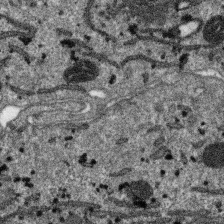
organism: Human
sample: Lung epithelial cells infected with SARS-CoV-2